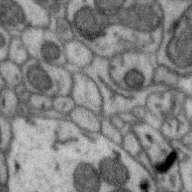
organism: Zebra finch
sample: Brain